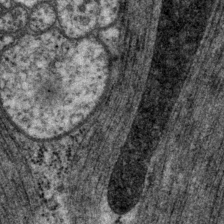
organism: P. pacificus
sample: Pharynx